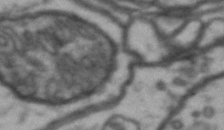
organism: Drosophila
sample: Brain